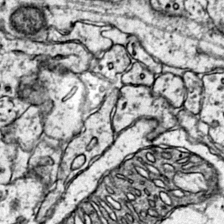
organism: Mouse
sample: Primary visual cortex